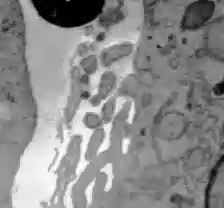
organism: C57BL Mouse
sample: Liver